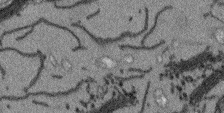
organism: Arabidopsis thaliana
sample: Root tip